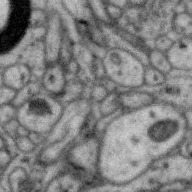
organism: Zebra finch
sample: Brain